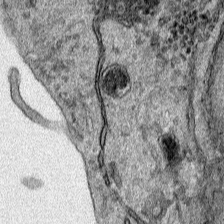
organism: Human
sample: Mitochondria in HCT116 cells